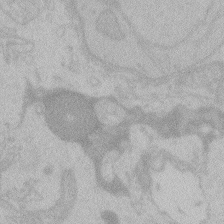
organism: Zebrafish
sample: Macrophage infected with Toxoplasma gondii